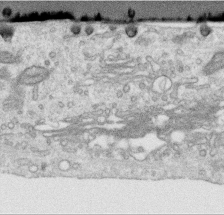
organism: Human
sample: Centriole in RPE cells